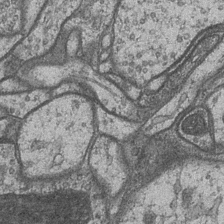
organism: Drosophila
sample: Optic medulla